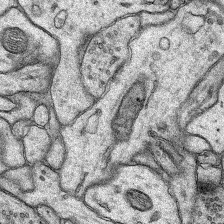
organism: Rat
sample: Hippocampus